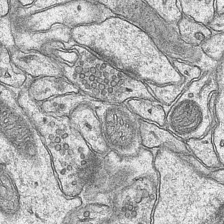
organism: Mouse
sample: CA1 Hippocampus